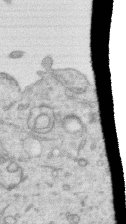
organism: Human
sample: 1205lu cells